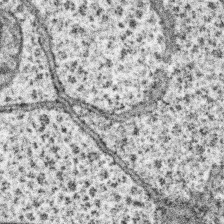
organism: Human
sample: HeLa cells